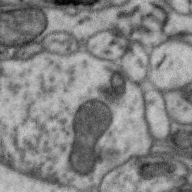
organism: Zebra finch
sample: Brain